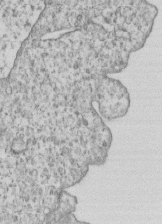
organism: Human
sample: MDA-MB-231 cells